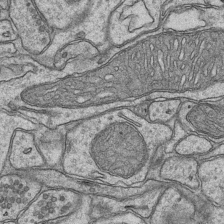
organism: Mouse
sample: CA1 Hippocampus